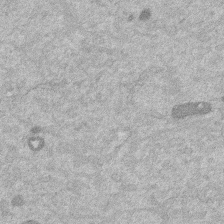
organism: Mouse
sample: Dividing mouse embryo 1 cell stage